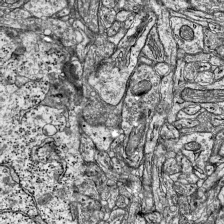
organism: Mouse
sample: Visual Cortex